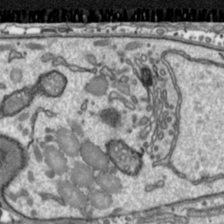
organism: Toxoplasma gondii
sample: Parasites in a vacuole inside a host cell